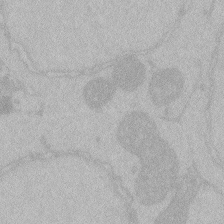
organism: Zebrafish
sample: Macrophage infected with Toxoplasma gondii